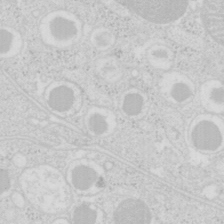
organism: Mouse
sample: Pancreas